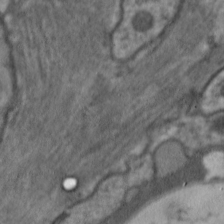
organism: C. elegans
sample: Pharynx